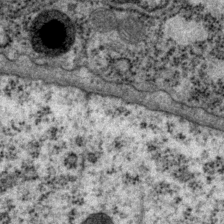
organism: P. pacificus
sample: Pharynx